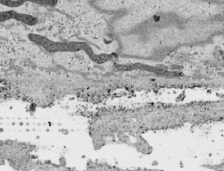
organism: Human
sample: Mitochondria in HCT116 cells